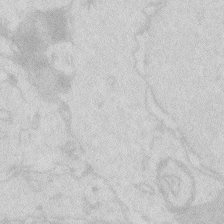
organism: Zebrafish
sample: Macrophage